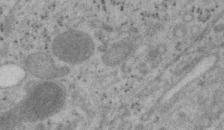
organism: Human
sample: HeLa cells